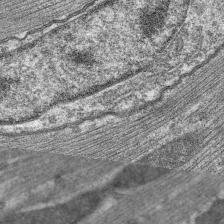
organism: C. elegans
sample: Pharynx